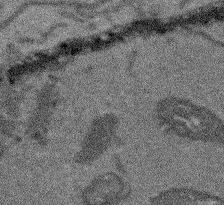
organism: Arabidopsis thaliana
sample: Root tip